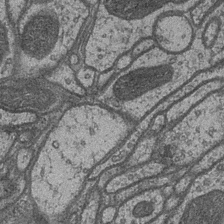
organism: Drosophila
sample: Optic medulla